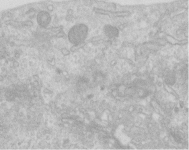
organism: Human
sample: Centriole in RPE cells